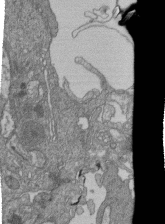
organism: Human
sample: Retinal organoid Rod and Cone cells